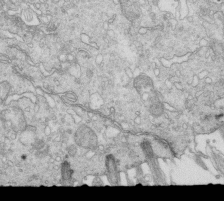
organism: Mouse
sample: Multiciliated cells